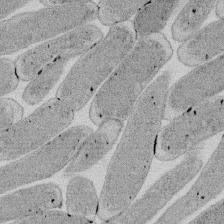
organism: E. coli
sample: Bacterial nucleoid